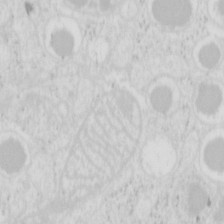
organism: Mouse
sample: Pancreas